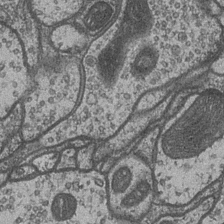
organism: Drosophila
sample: Optic medulla